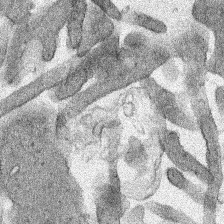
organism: Human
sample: Mitochondria in HCT116 cells